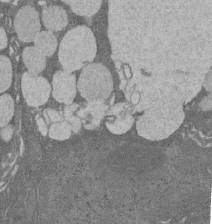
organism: Rat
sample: Salivary granule